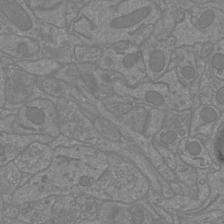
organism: Mouse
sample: Cortical neurons